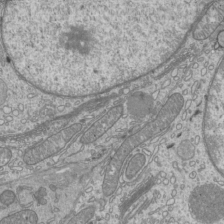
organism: Mouse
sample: Cilia; mouse epididymis